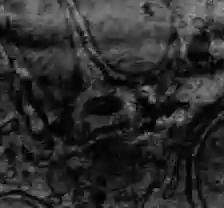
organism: C57BL Mouse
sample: Liver